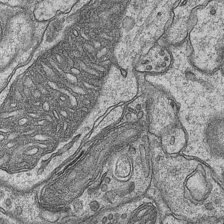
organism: Mouse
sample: CA1 Hippocampus